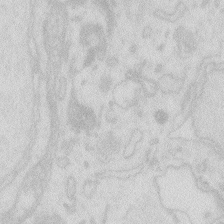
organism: Zebrafish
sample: Macrophage